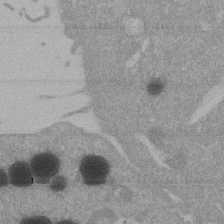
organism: Mouse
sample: ED-1 cell nuclei; centrioles